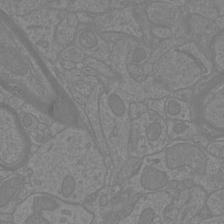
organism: Mouse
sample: Cortical neurons